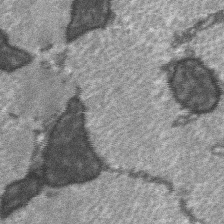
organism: C57BL Mouse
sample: Soleus